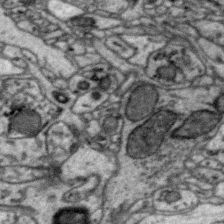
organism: Zebra finch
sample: Brain